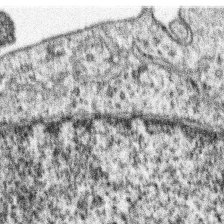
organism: Human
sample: HeLa cells